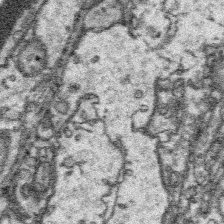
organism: Platynereis dumerilii